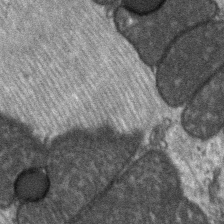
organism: C57BL Mouse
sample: Soleus